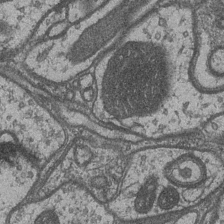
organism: Drosophila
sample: Optic medulla